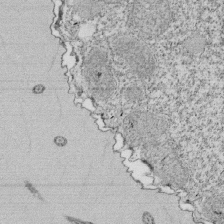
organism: Tetrahymena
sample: Cilia in tetrahymena